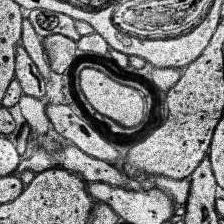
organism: Human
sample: Temporal Lobe